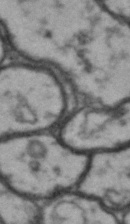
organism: Drosophila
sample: Brain